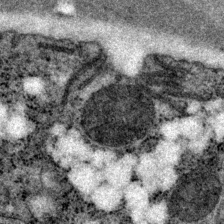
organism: P. pacificus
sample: Pharynx